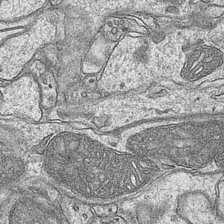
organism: Mouse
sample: CA1 Hippocampus